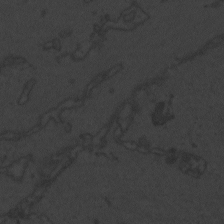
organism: Zebrafish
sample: Macrophage infected with Toxoplasma gondii